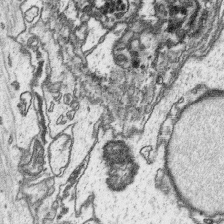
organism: Platynereis dumerilii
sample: Parapodia